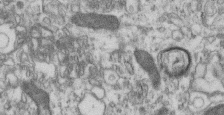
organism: Mouse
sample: Centriole in ependymal cells